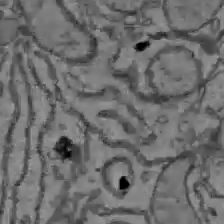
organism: C57BL Mouse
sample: Liver